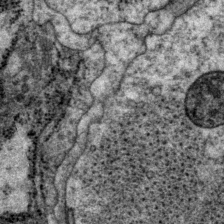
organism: P. pacificus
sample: Pharynx